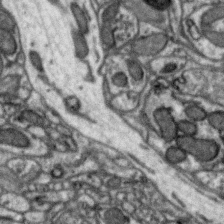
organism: Zebra finch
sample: Brain